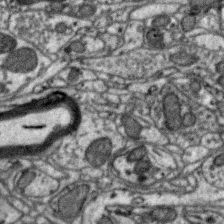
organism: Zebra finch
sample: Brain